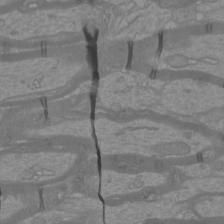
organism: Mouse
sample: Cortical neurons